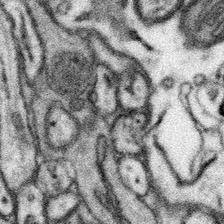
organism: Mouse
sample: Somatosensory cortex neuropil